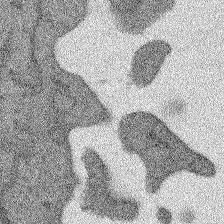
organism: Human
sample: HeLa cells